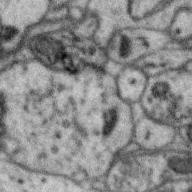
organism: Zebra finch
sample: Brain